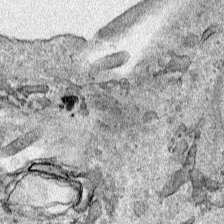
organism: Human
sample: Mitochondria in HCT116 cells